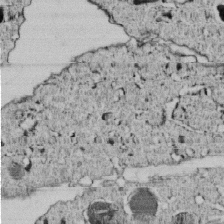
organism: C. elegans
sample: C. elegans embryo early stage